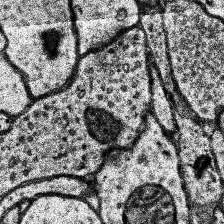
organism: Human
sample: Temporal Lobe